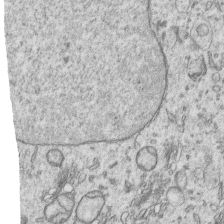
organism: Human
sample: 1205lu cells